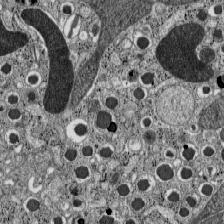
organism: C57BL Mouse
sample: Pancreatic islet